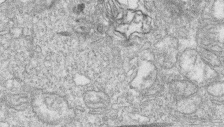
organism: Human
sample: HeLa cell HIV synapse